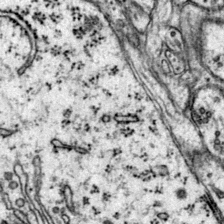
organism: Mouse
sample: Primary visual cortex